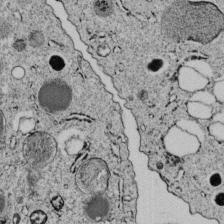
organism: C. elegans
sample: C. elegans embryo early stage